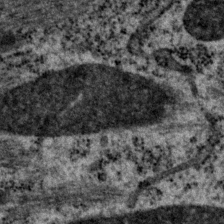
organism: P. pacificus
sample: Pharynx